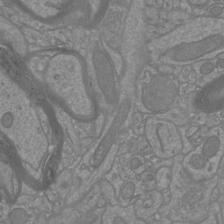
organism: Mouse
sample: Cortical neurons